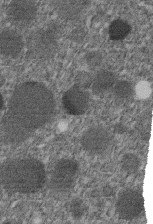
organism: C. elegans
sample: C. elegans embryo early stage